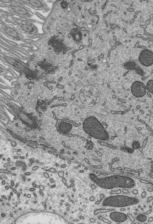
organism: Mouse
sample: Mouse epididymis efferent ductule cilia